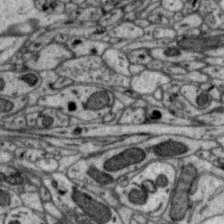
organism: Zebra finch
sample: Brain